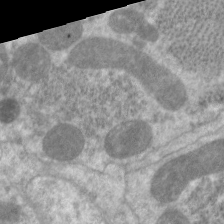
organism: C. elegans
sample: Pharynx